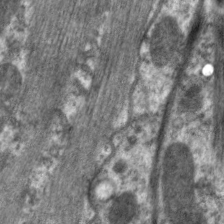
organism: C. elegans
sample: Pharynx